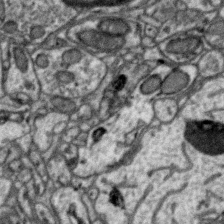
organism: Zebra finch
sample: Brain